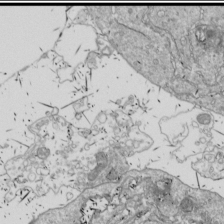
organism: Drosophila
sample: Cell division; meiosis; drosophila spermatocytes